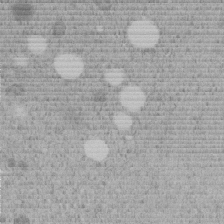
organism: C. elegans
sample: C. elegans embryo early stage